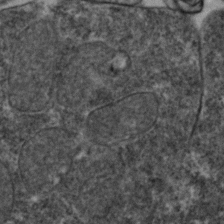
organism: Zebrafish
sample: Zebrafish embryo